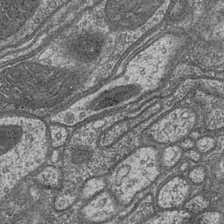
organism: Drosophila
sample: Optic medulla